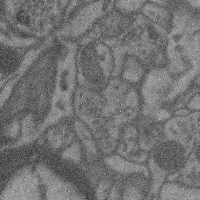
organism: Mouse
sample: Cerebral cortex